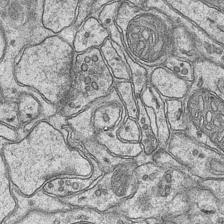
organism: Mouse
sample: CA1 Hippocampus